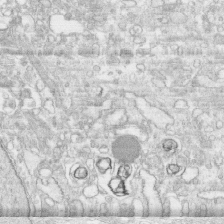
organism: Human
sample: CRL-1474